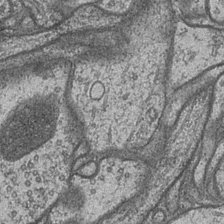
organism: Drosophila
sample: Optic medulla